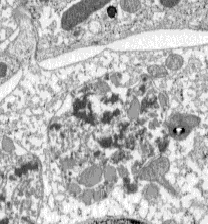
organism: C57BL Mouse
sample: Pancreatic islet